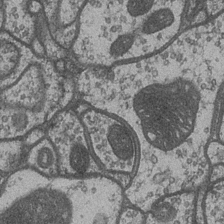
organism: Drosophila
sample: Optic medulla